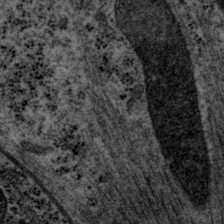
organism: P. pacificus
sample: Pharynx